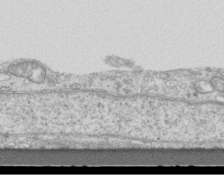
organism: Mouse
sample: Centriole in ependymal cells